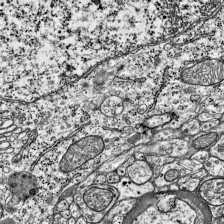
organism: Mouse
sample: Visual Cortex